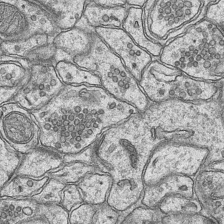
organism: Mouse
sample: CA1 Hippocampus